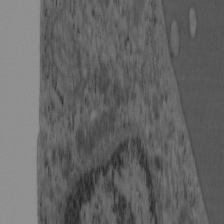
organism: Human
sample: HeLa cells